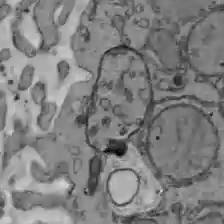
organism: C57BL Mouse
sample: Liver